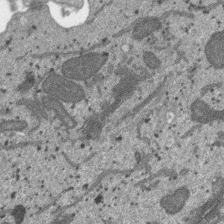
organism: Human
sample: Lung epithelial cells infected with SARS-CoV-2